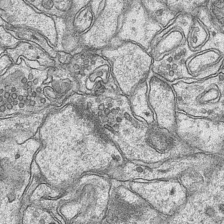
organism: Mouse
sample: CA1 Hippocampus